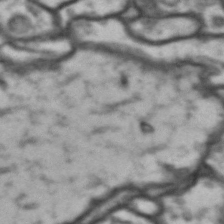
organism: Drosophila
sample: Brain